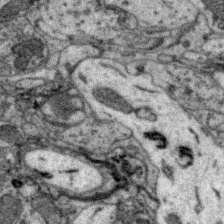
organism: Zebra finch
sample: Brain